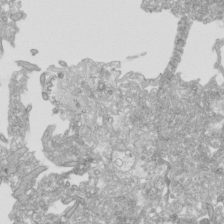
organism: Human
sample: Mitochondria in HCT116 cells